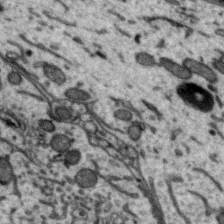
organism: Zebra finch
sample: Brain